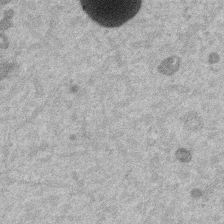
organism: Mouse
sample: Dividing mouse embryo 1 cell stage